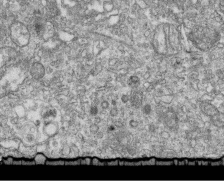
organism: Human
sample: HeLa cell HIV synapse